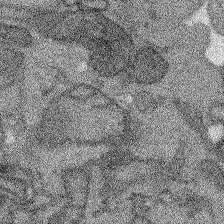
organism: Human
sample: HeLa cells